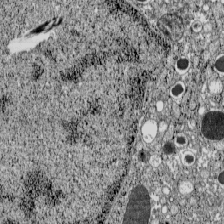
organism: C57BL Mouse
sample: Pancreatic islet